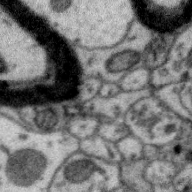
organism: Zebra finch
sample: Brain